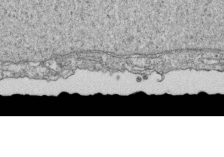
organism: Human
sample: HeLa cell HIV synapse